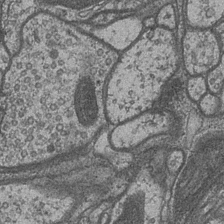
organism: Drosophila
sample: Optic medulla